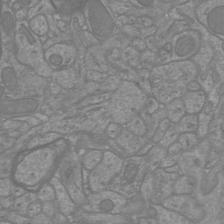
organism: Mouse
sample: Cortical neurons